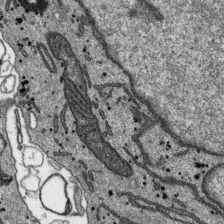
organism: Human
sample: Lung epithelial cells, uninfected (mock) control